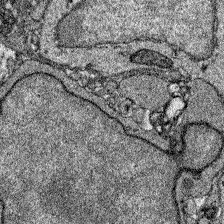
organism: Zebrafish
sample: Larval olfactory bulb